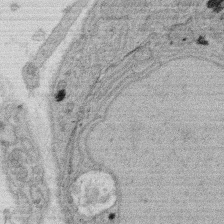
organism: Rat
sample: Salivary granule